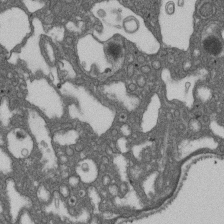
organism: Drosophila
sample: Nephrocyte